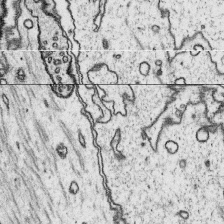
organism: Platynereis dumerilii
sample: Parapodia